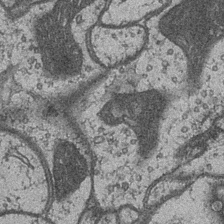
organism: Drosophila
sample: Optic medulla